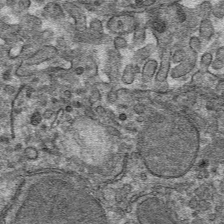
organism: Mouse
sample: Mouse hepatocytes